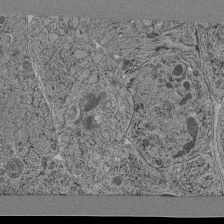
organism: C. elegans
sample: C. elegans pharynx